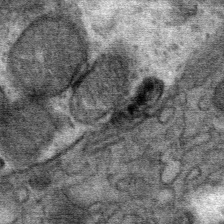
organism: Mouse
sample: Mouse Salivary gland